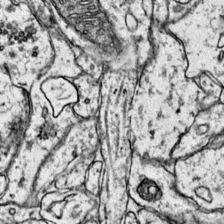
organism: Mouse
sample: Primary visual cortex